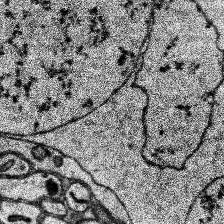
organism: Human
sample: Temporal Lobe